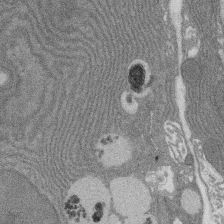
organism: Rat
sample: Salivary granule